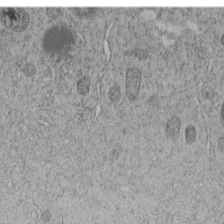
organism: C. elegans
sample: C. elegans embryo early stage